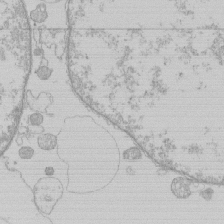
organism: Human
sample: Macrophage cells